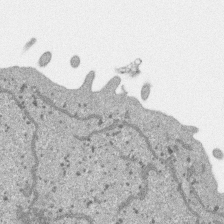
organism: Human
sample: Lung epithelial cells infected with SARS-CoV-2